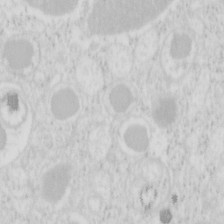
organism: Mouse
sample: Pancreas